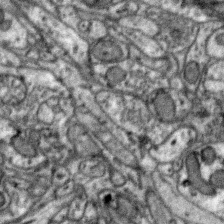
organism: Zebra finch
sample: Brain